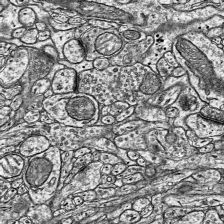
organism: Mouse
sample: Visual Cortex